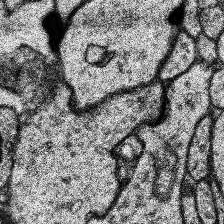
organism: Human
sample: Temporal Lobe